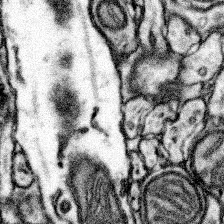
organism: Mouse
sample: Somatosensory cortex neuropil